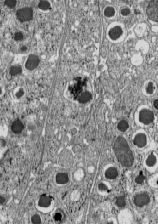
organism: C57BL Mouse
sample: Pancreatic islet